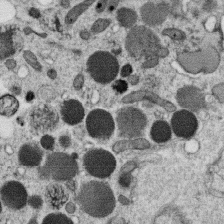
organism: C. elegans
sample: C. elegans oocyte; sperm cells